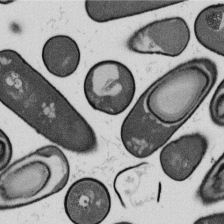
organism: B. subtilis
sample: Bacterial spore